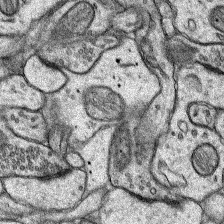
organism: Rat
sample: Hippocampus